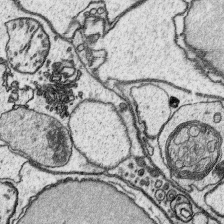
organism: Platynereis dumerilii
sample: Parapodia